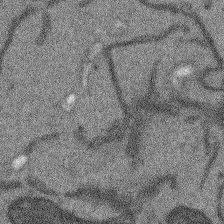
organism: Arabidopsis thaliana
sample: Root tip